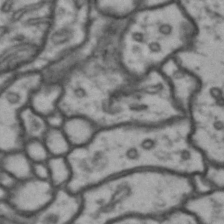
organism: Drosophila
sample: Brain